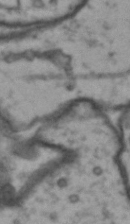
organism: Drosophila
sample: Brain